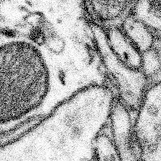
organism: Mouse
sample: Somatosensory cortex neuropil